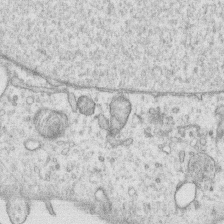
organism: Human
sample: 1205lu cells